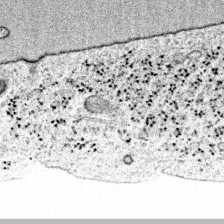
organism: Human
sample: HeLa cells